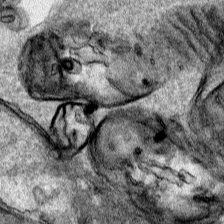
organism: Human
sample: Mitochondria in HCT116 cells